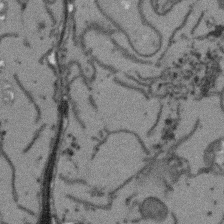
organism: Arabidopsis thaliana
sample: Root tip